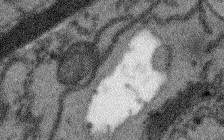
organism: Arabidopsis thaliana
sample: Root tip